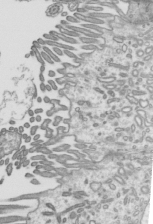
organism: Mouse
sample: Mouse epididymis efferent ductule cilia